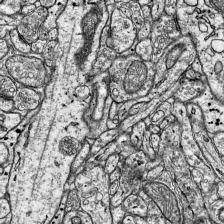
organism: Mouse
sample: Visual Cortex